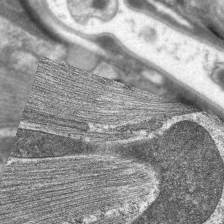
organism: C. elegans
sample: Pharynx